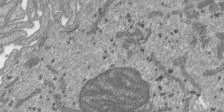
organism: Human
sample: Lung epithelial cells infected with SARS-CoV-2